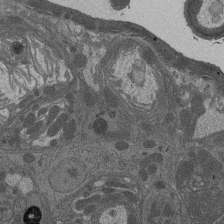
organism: Drosophila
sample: Antenna